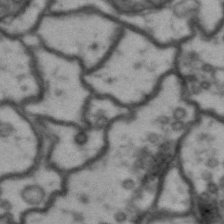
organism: Drosophila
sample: Brain